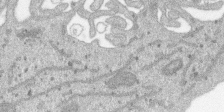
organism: Human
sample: Lung epithelial cells infected with SARS-CoV-2